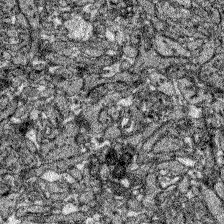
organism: Zebrafish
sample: Larval olfactory bulb